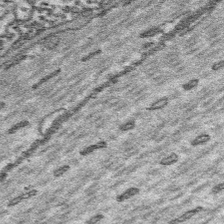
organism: Platynereis dumerilii